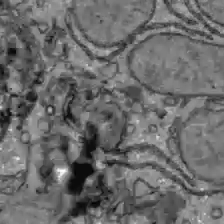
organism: C57BL Mouse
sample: Liver